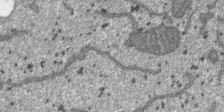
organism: Human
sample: Lung epithelial cells infected with SARS-CoV-2